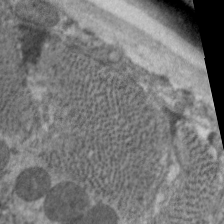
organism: C. elegans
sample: Pharynx